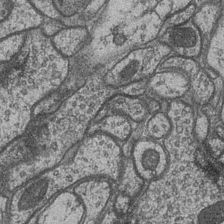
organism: Drosophila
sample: Optic medulla